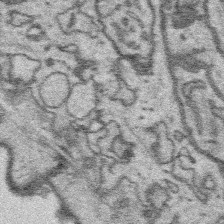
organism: Platynereis dumerilii